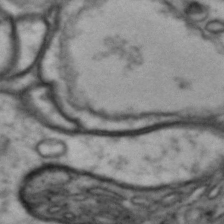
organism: Drosophila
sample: Brain